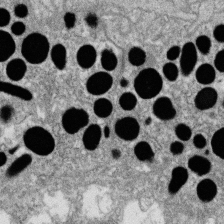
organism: Zebrafish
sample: Cilia; retinal pigment epithelium